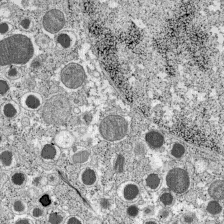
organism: C57BL Mouse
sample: Pancreatic islet